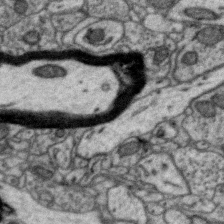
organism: Zebra finch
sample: Brain